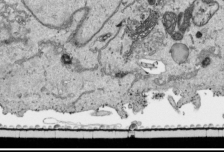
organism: Human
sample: Mitochondria in HCT116 cells